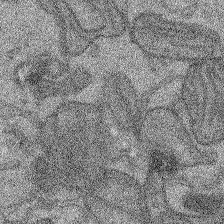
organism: Human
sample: HeLa cells